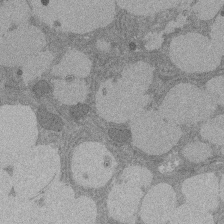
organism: Rat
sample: Salivary granule